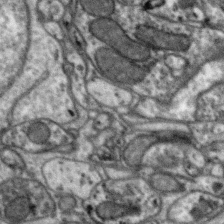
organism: Zebra finch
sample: Brain